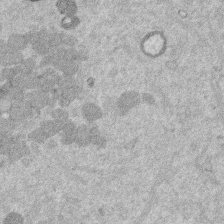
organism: Mouse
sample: Dividing mouse embryo 1 cell stage